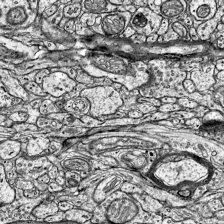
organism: Mouse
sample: Visual Cortex